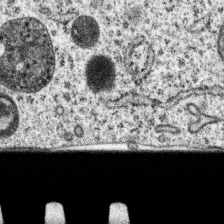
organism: Human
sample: HeLa cells